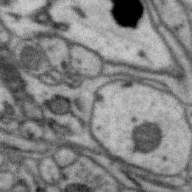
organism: Zebra finch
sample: Brain